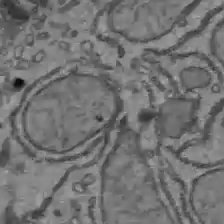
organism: C57BL Mouse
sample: Liver